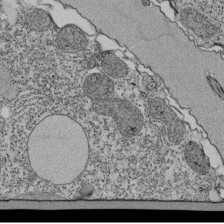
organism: Tetrahymena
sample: Cilia in tetrahymena